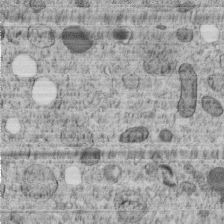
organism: C. elegans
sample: C. elegans embryo early stage